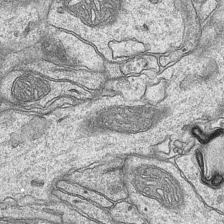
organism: Mouse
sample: CA1 Hippocampus